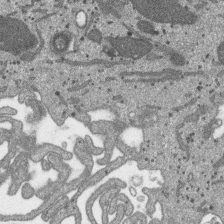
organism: Human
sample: Lung epithelial cells infected with SARS-CoV-2